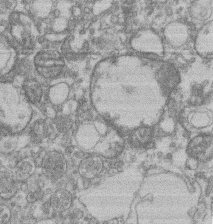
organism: Mouse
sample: T cell stromal cell synapse